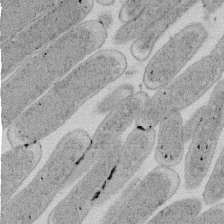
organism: E. coli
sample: Bacterial nucleoid